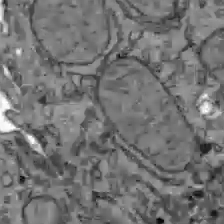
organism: C57BL Mouse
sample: Liver